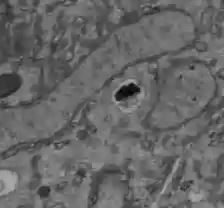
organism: C57BL Mouse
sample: Liver